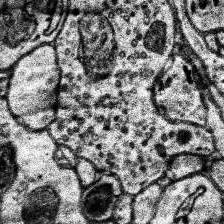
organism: Human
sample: Temporal Lobe